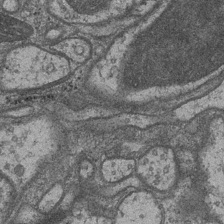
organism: Drosophila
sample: Optic medulla